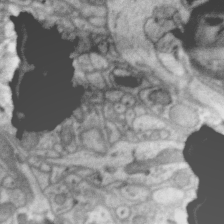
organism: Zebra finch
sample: Brain